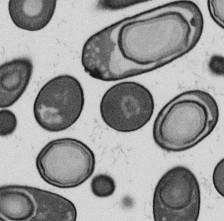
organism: B. subtilis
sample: Bacterial spore